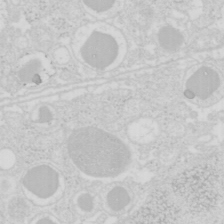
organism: Mouse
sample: Pancreas